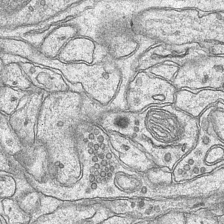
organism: Mouse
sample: CA1 Hippocampus